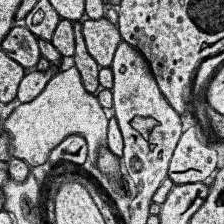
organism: Human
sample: Temporal Lobe